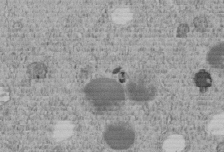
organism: C. elegans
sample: C. elegans embryo early stage